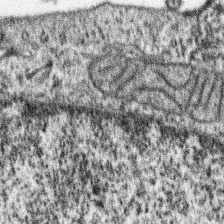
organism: Human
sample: HeLa cells